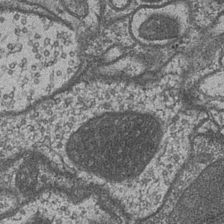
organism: Drosophila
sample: Optic medulla